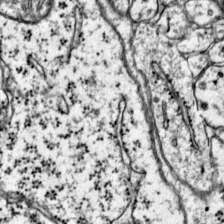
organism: Mouse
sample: Primary visual cortex